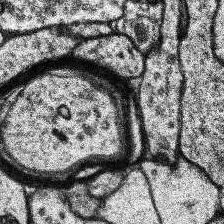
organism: Human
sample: Temporal Lobe